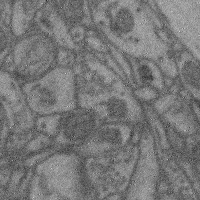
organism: Mouse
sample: Cerebral cortex